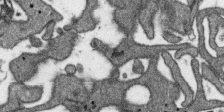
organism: Human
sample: Lung epithelial cells, uninfected (mock) control